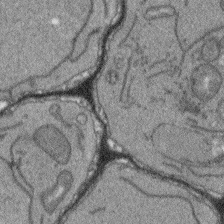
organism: Arabidopsis thaliana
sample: Root tip